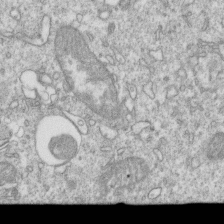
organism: Mouse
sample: Activated OT-1 CD8+ T cells